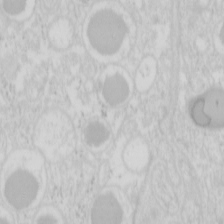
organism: Mouse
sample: Pancreas